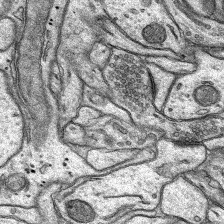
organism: Rat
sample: Hippocampus